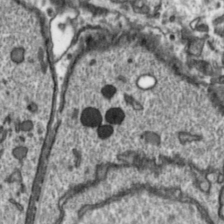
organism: Toxoplasma gondii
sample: Parasites in a vacuole inside a host cell